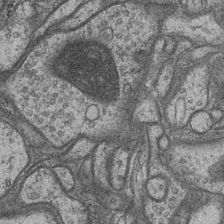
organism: Drosophila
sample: Optic medulla